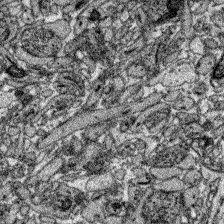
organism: Zebrafish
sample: Larval olfactory bulb